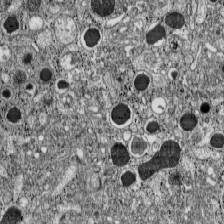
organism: C57BL Mouse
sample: Pancreatic islet